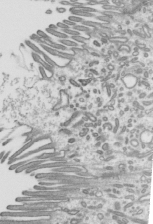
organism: Mouse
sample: Mouse epididymis efferent ductule cilia